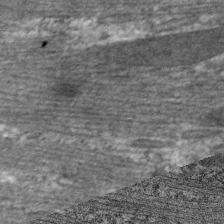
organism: C. elegans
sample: Pharynx